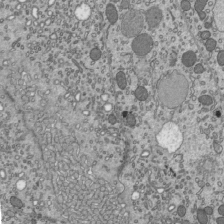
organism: Mouse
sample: Mouse epididymis efferent ductule cilia